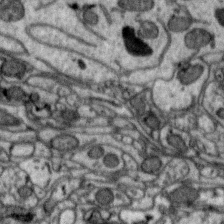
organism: Zebra finch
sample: Brain